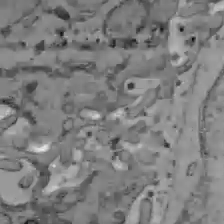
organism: C57BL Mouse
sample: Liver